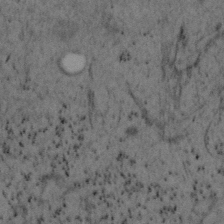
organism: Human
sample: HeLa cells